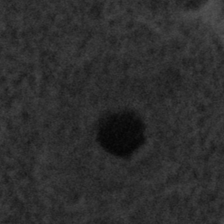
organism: Tuwongella immobilis